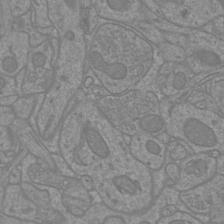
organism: Mouse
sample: Cortical neurons